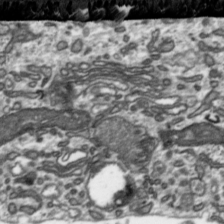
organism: Toxoplasma gondii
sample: Parasites in a vacuole inside a host cell